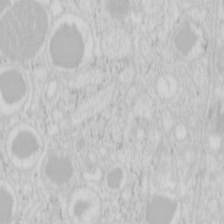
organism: Mouse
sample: Pancreas